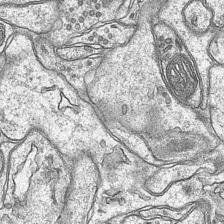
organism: Mouse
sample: CA1 Hippocampus